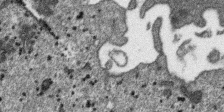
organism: Human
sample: Lung epithelial cells infected with SARS-CoV-2